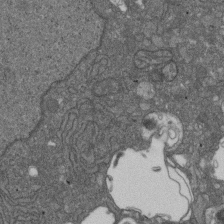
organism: Drosophila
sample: Nephrocyte